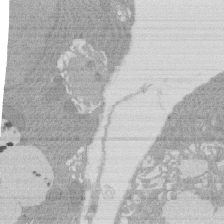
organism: Rat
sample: Salivary granule